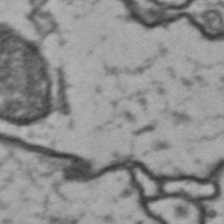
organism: Drosophila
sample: Brain